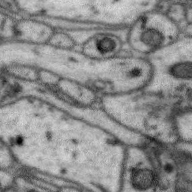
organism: Zebra finch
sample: Brain